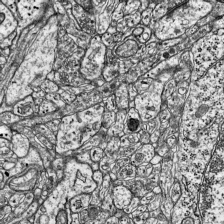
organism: Mouse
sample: Visual Cortex